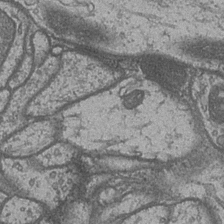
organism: Drosophila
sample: Optic medulla